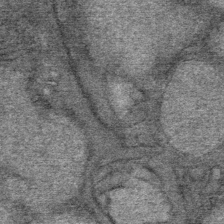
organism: Mouse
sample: Mouse Salivary gland